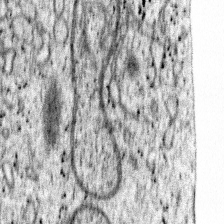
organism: Human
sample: HeLa cells